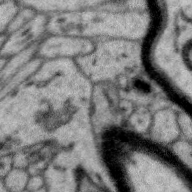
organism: Zebra finch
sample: Brain